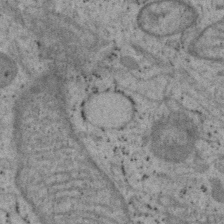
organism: Human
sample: HeLa cells